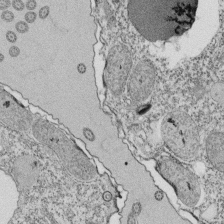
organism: Tetrahymena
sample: Cilia in tetrahymena